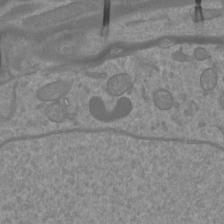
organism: Mouse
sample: Cortical neurons